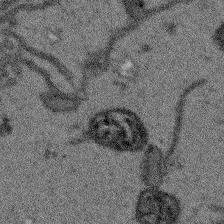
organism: Arabidopsis thaliana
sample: Root tip